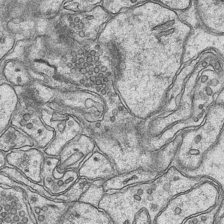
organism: Mouse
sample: CA1 Hippocampus